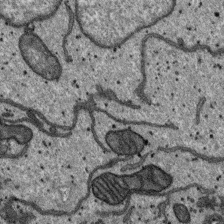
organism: Human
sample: Lung epithelial cells, uninfected (mock) control